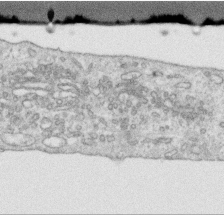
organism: Human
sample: Centriole in RPE cells